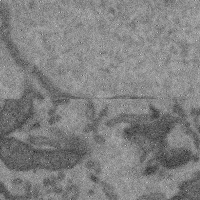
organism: Mouse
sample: Cerebral cortex